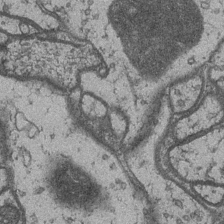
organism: Drosophila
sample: Optic medulla